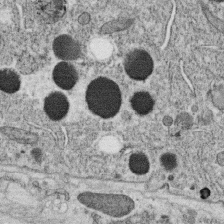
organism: C. elegans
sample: C. elegans oocyte; sperm cells